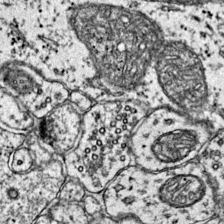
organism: Mouse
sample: Primary visual cortex